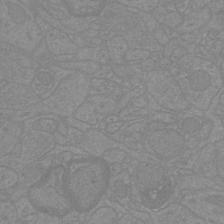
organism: Mouse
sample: Cortical neurons